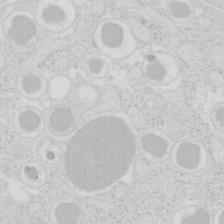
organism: Mouse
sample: Pancreas